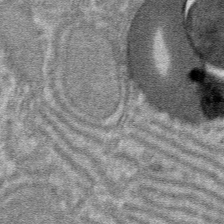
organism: Mouse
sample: Mouse hepatocytes